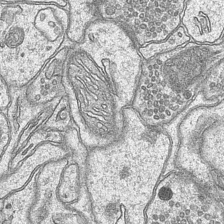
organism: Mouse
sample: CA1 Hippocampus